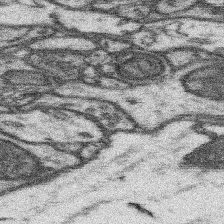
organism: Mouse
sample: Somatosensory cortex neuropil